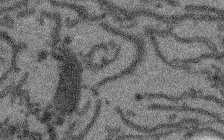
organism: Arabidopsis thaliana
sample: Root tip